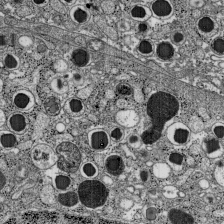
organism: C57BL Mouse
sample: Pancreatic islet